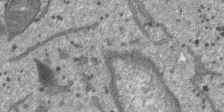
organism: Human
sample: Lung epithelial cells infected with SARS-CoV-2